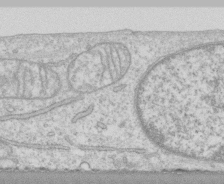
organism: Human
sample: CRL-1474